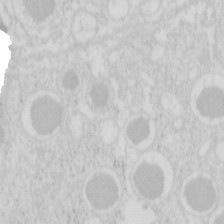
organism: Mouse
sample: Pancreas